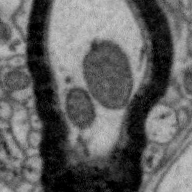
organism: Zebra finch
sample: Brain